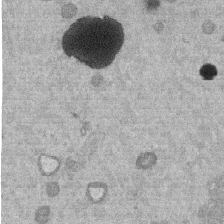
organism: Mouse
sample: Dividing mouse embryo 1 cell stage